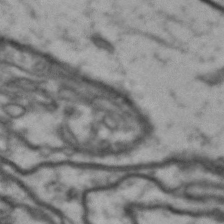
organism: Drosophila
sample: Brain